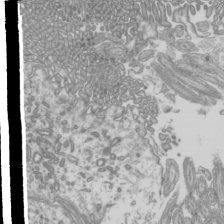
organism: Mouse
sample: Cilia; mouse epididymis